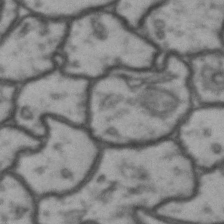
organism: Drosophila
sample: Brain